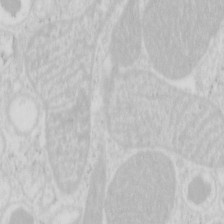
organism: Mouse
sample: Pancreas